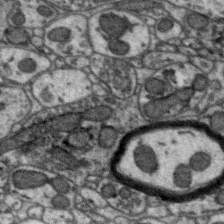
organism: Zebra finch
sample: Brain